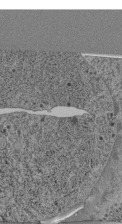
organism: C. elegans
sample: C. elegans pharynx